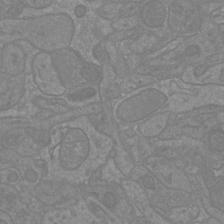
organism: Mouse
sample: Cortical neurons